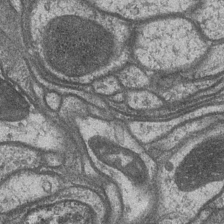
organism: Drosophila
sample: Optic medulla